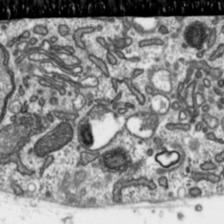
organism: Toxoplasma gondii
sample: Parasites in a vacuole inside a host cell